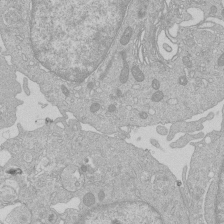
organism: Human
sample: Macrophage cells